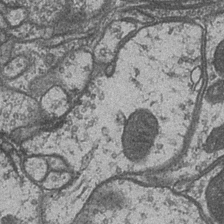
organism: Drosophila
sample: Optic medulla